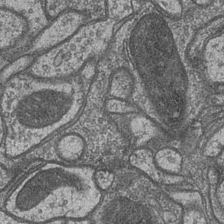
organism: Drosophila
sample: Optic medulla